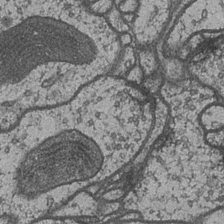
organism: Drosophila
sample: Optic medulla